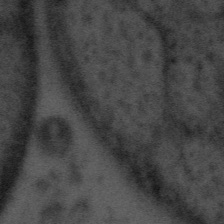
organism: Tuwongella immobilis